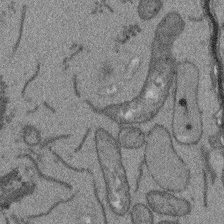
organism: Arabidopsis thaliana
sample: Root tip